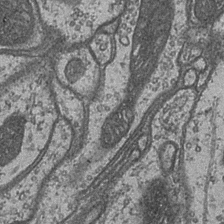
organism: Drosophila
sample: Optic medulla